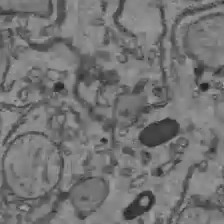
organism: C57BL Mouse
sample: Liver